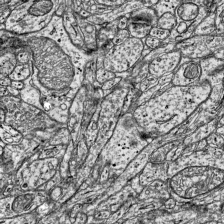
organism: Mouse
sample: Visual Cortex